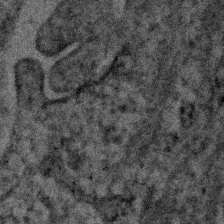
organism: Human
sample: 1205lu cells